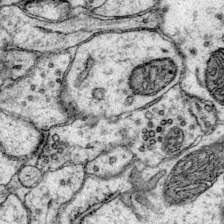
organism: Mouse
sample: Primary visual cortex